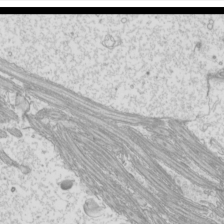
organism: Mouse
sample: Cilia; mouse epididymis